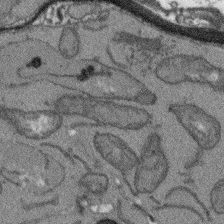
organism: Arabidopsis thaliana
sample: Root tip